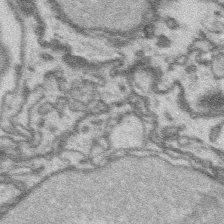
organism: Platynereis dumerilii